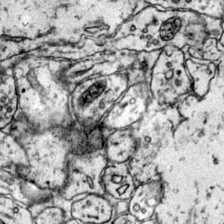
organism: Mouse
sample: Primary visual cortex